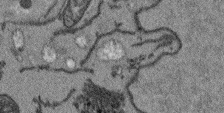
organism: Arabidopsis thaliana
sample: Root tip